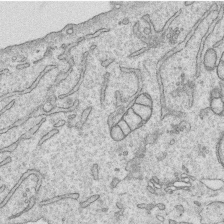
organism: Human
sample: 1205lu cells